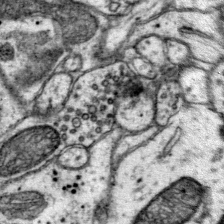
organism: Mouse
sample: Primary visual cortex